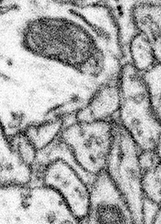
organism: Mouse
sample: Somatosensory cortex neuropil